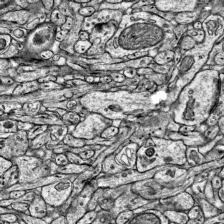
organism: Mouse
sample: Visual Cortex